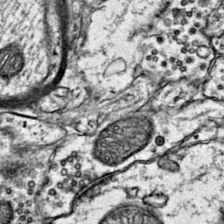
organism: Mouse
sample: Primary visual cortex